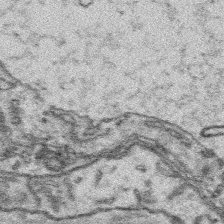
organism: Platynereis dumerilii